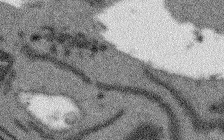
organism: Arabidopsis thaliana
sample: Root tip